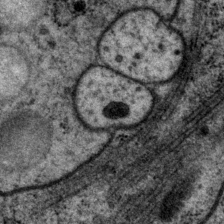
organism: P. pacificus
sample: Pharynx